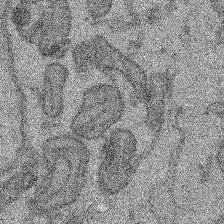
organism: Human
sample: HeLa cells